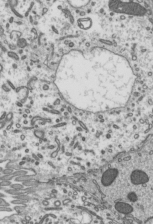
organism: Mouse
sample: Mouse epididymis efferent ductule cilia